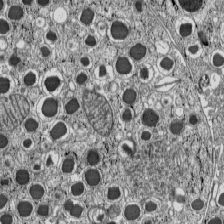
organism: C57BL Mouse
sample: Pancreatic islet